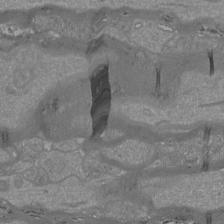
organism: Mouse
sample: Cortical neurons